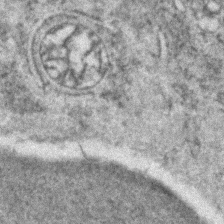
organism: Zebrafish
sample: Zebrafish embryo